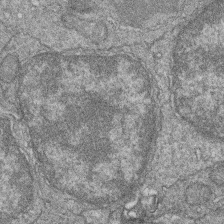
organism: Zebrafish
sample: Cilia; retinal pigment epithelium